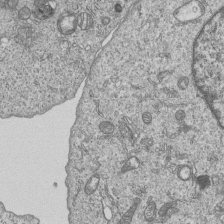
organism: Human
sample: MDA-MB-231 cells